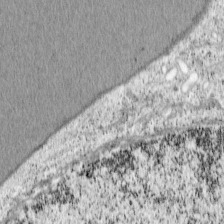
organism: African green monkey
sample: COS-7 cells